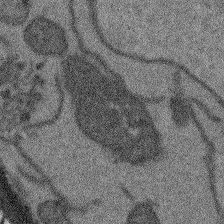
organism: Arabidopsis thaliana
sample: Root tip